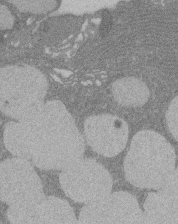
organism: Rat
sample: Salivary granule